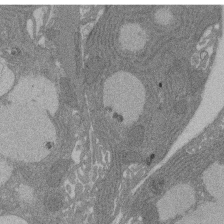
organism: Rat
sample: Salivary granule